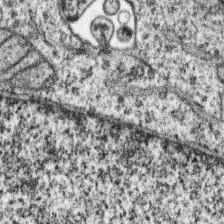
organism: Human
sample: HeLa cells